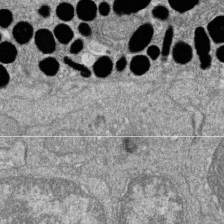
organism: Zebrafish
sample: Cilia; retinal pigment epithelium